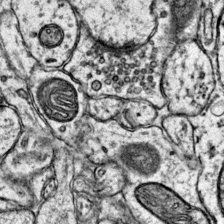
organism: Mouse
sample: Primary visual cortex